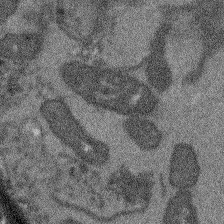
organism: Arabidopsis thaliana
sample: Root tip